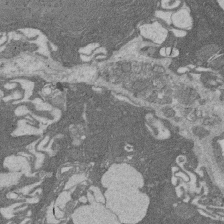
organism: Rat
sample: Salivary granule